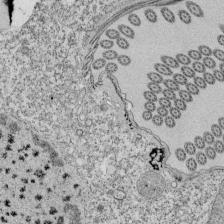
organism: Tetrahymena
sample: Cilia in tetrahymena